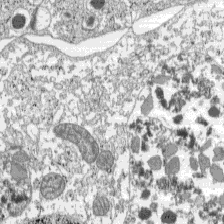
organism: C57BL Mouse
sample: Pancreatic islet